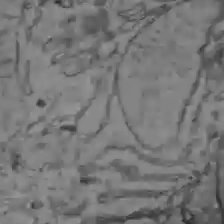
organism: C57BL Mouse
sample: Liver